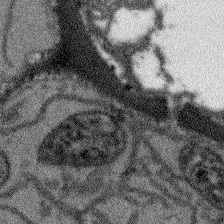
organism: Arabidopsis thaliana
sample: Root tip